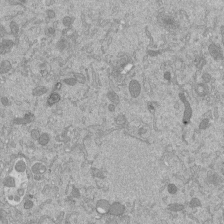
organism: Mouse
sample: ED-1 cell nuclei; centrioles